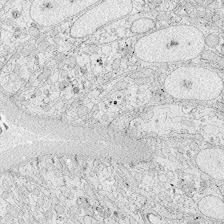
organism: Zebrafish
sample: Whole-Brain